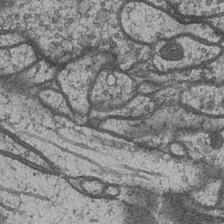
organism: Drosophila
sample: Optic medulla